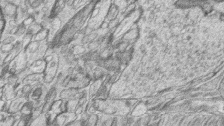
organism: Zebrafish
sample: synaptic ribbons in rod cells and cone cells